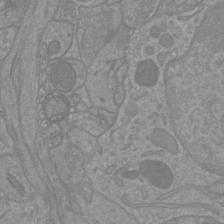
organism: Mouse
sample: Cortical neurons